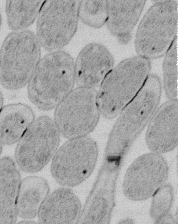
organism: E. coli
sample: Bacterial nucleoid